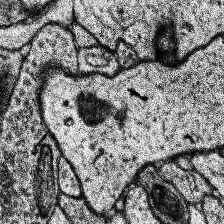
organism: Human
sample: Temporal Lobe